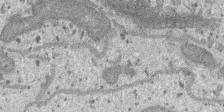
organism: Human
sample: Lung epithelial cells infected with SARS-CoV-2